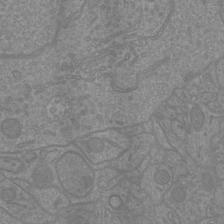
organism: Mouse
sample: Cortical neurons